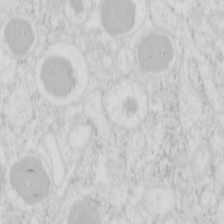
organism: Mouse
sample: Pancreas